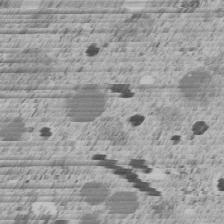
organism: C. elegans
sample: C. elegans embryo early stage